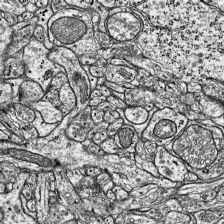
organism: Mouse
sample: Visual Cortex